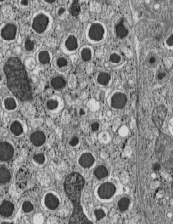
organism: C57BL Mouse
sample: Pancreatic islet